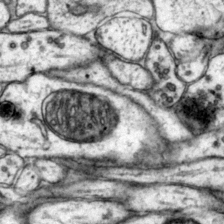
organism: Mouse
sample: Primary visual cortex